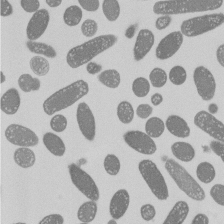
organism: E. coli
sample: Bacterial nucleoid